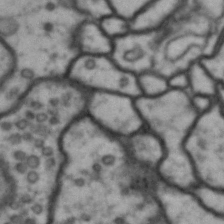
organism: Drosophila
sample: Brain